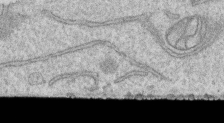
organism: Human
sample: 1205lu cells